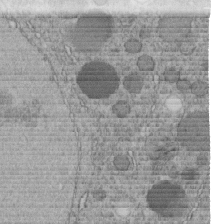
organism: C. elegans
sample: C. elegans embryo early stage